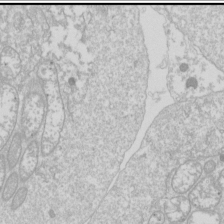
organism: Drosophila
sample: Cell division; meiosis; drosophila spermatocytes